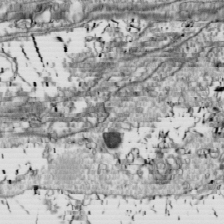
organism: Drosophila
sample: Cell division; meiosis; drosophila spermatocytes